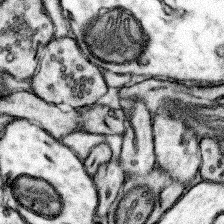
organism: Mouse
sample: Somatosensory cortex neuropil